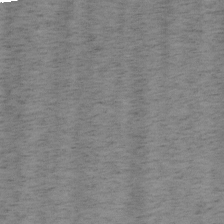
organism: Mouse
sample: OT-I killer T cells with ID8 ovarian cancer cells